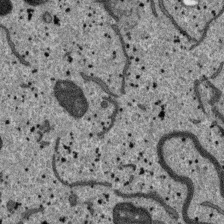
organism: Human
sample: Lung epithelial cells, uninfected (mock) control